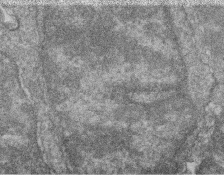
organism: Zebrafish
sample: Cilia; retinal pigment epithelium